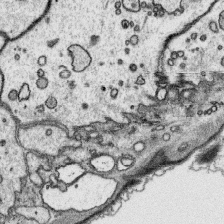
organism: Platynereis dumerilii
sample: Parapodia